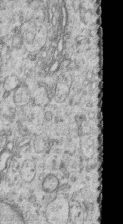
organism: Human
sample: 1205lu cells